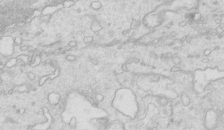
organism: Mouse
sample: Multiciliated cells